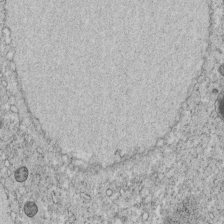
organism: C. elegans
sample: C. elegans embryo early stage